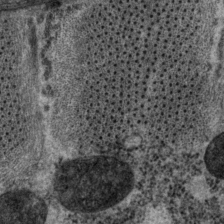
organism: P. pacificus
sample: Pharynx